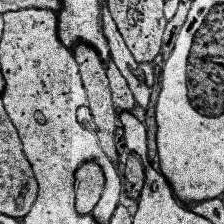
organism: Human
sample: Temporal Lobe